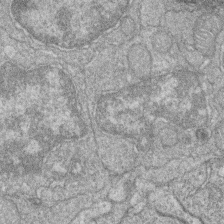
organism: Zebrafish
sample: Cilia; retinal pigment epithelium